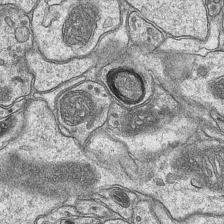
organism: Mouse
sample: CA1 Hippocampus